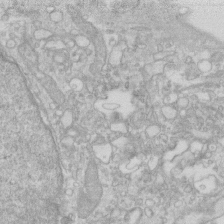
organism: Human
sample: Fibroblast cells